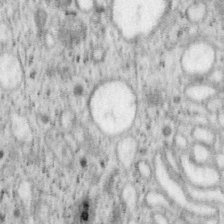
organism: Mouse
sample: OT-I killer T cells with ID8 ovarian cancer cells